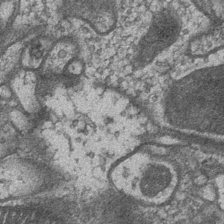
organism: Drosophila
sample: Optic medulla